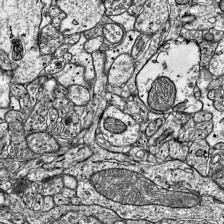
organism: Mouse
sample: Visual Cortex